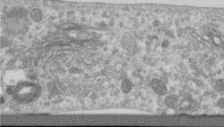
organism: Human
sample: Centriole in RPE cells